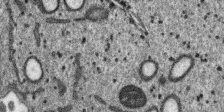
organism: Human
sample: Lung epithelial cells infected with SARS-CoV-2